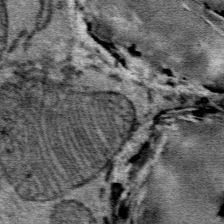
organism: Mouse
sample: Mouse Salivary gland